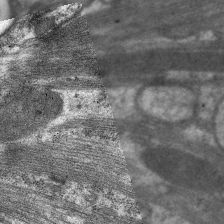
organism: C. elegans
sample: Pharynx